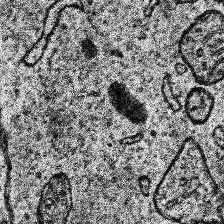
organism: Human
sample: Temporal Lobe